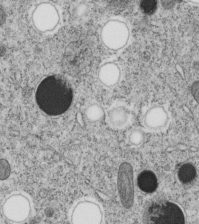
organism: C. elegans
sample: C. elegans embryo early stage